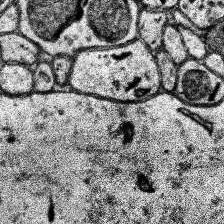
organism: Human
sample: Temporal Lobe